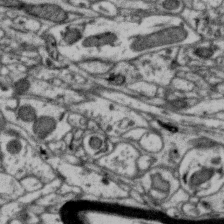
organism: Zebra finch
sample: Brain